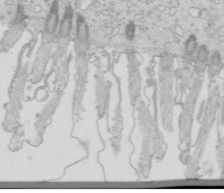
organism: Mouse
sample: Multiciliated cells